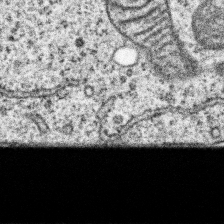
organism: Human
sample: HeLa cells